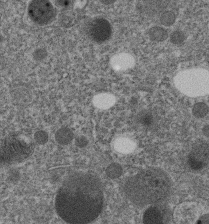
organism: C. elegans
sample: C. elegans embryo early stage